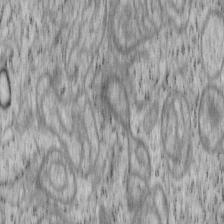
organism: Human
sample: HeLa cells